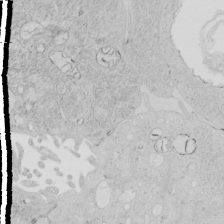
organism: Human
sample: Mitochondria in HCT116 cells